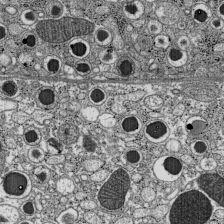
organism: C57BL Mouse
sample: Pancreatic islet